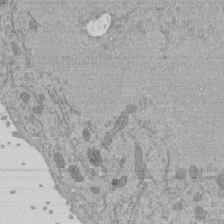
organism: Mouse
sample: ED-1 cell nuclei; centrioles